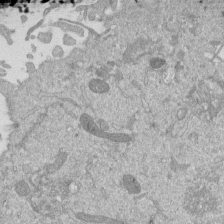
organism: Mouse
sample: ED-1 cell nuclei; centrioles